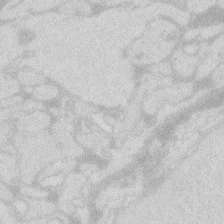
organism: Zebrafish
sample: Macrophage